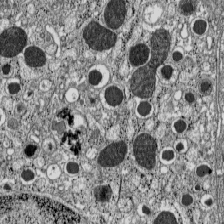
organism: C57BL Mouse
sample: Pancreatic islet